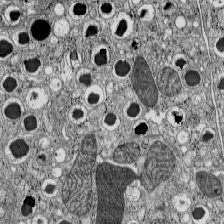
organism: C57BL Mouse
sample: Pancreatic islet